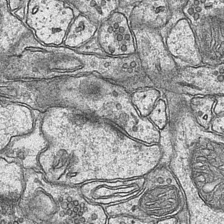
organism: Mouse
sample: CA1 Hippocampus